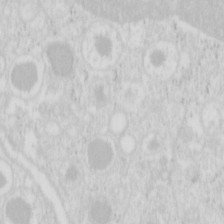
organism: Mouse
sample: Pancreas